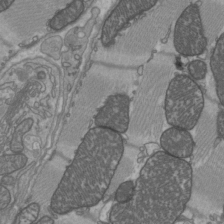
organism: C57BL Mouse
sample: Heart